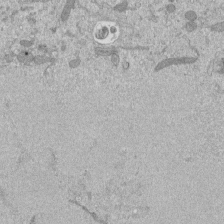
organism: Mouse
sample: ED-1 cell nuclei; centrioles